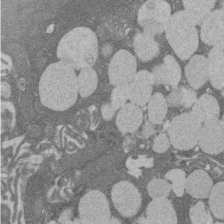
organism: Rat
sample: Salivary granule